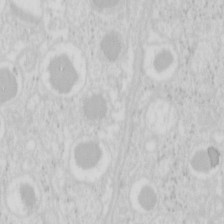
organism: Mouse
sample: Pancreas